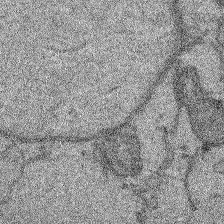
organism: Human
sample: HeLa cells